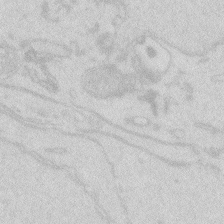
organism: Zebrafish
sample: Macrophage